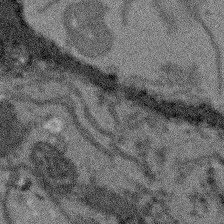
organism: Arabidopsis thaliana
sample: Root tip